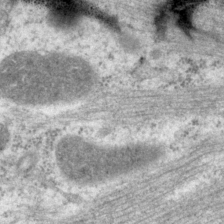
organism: P. pacificus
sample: Pharynx